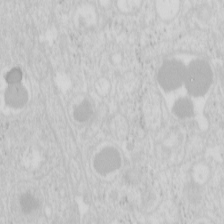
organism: Mouse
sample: Pancreas